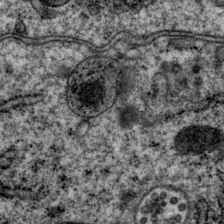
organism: P. pacificus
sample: Pharynx